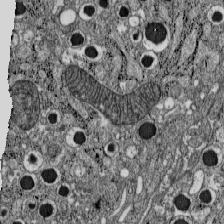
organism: C57BL Mouse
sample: Pancreatic islet